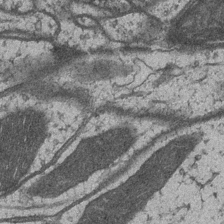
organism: Drosophila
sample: Optic medulla